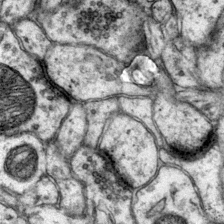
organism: Mouse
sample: Primary visual cortex